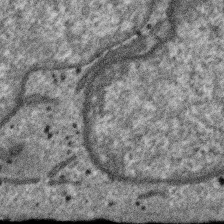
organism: Human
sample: Lung epithelial cells infected with SARS-CoV-2